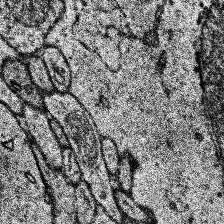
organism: Human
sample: Temporal Lobe